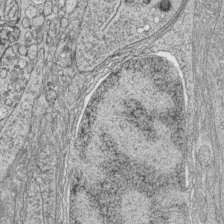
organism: Zebrafish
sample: synaptic ribbons in rod cells and cone cells